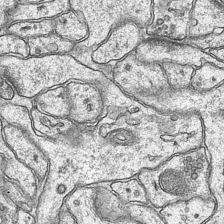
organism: Mouse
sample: CA1 Hippocampus